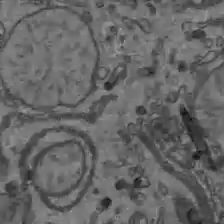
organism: C57BL Mouse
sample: Liver